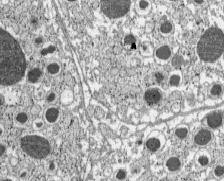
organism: C57BL Mouse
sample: Pancreatic islet